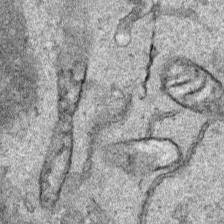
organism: Human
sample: Mitochondria in HCT116 cells